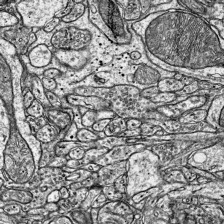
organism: Mouse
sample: Visual Cortex